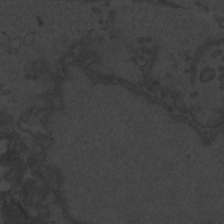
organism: Zebrafish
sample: Macrophage infected with Toxoplasma gondii